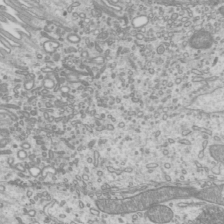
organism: Mouse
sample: Cilia; mouse epididymis